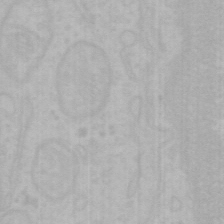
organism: Mouse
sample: Choroid plexus